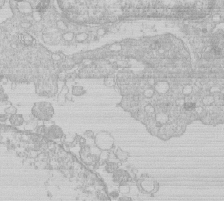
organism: Human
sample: Macrophage cells